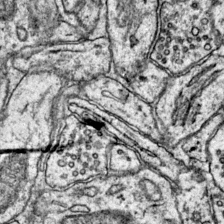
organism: Mouse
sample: Primary visual cortex